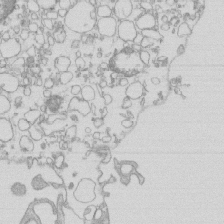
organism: Mouse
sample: Macrophages